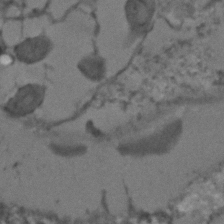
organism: C. elegans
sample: C. elegans embryo